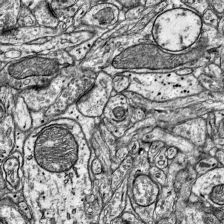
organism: Mouse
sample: Visual Cortex